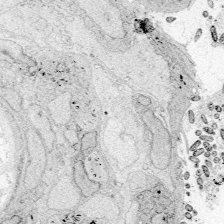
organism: Zebrafish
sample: Whole-Brain